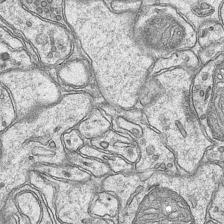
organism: Mouse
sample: CA1 Hippocampus